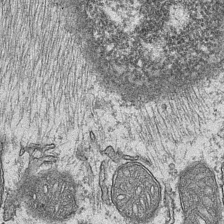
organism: Mouse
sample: CA1 Hippocampus